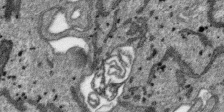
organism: Human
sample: Lung epithelial cells, uninfected (mock) control